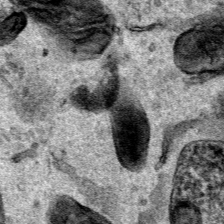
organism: Human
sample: Mitochondria in HCT116 cells